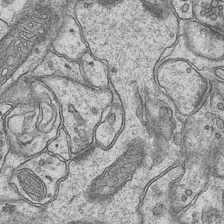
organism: Mouse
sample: CA1 Hippocampus